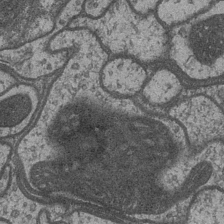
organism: Drosophila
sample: Optic medulla